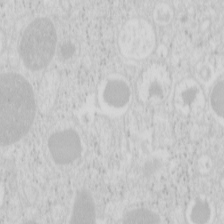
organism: Mouse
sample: Pancreas